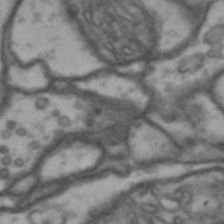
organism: Drosophila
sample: Brain